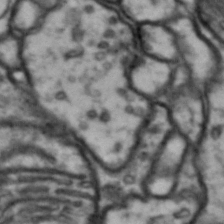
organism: Drosophila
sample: Brain